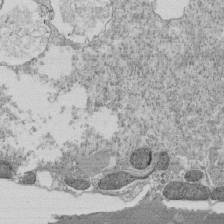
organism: Tetrahymena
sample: Cilia in tetrahymena